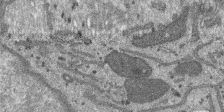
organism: Human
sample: Lung epithelial cells infected with SARS-CoV-2